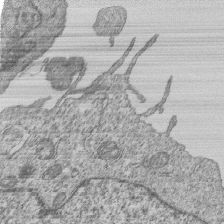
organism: Human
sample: MDA-MB-231 cells